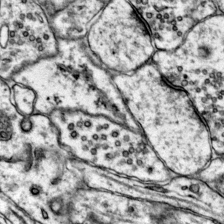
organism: Mouse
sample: Primary visual cortex